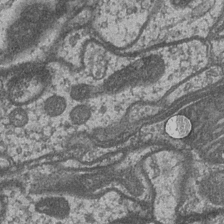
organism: Drosophila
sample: Optic medulla